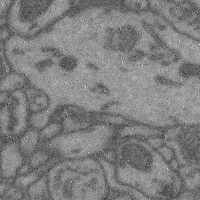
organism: Mouse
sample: Cerebral cortex